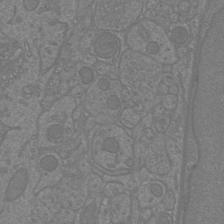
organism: Mouse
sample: Cortical neurons